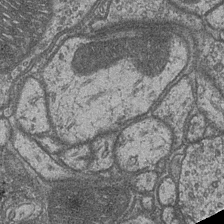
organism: Drosophila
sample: Optic medulla